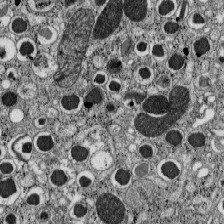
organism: C57BL Mouse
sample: Pancreatic islet